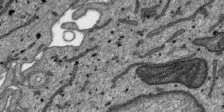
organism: Human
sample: Lung epithelial cells, uninfected (mock) control